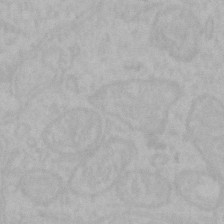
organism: Mouse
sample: Choroid plexus